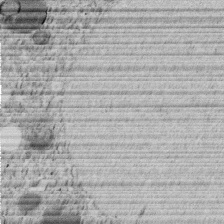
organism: C. elegans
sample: C. elegans embryo early stage